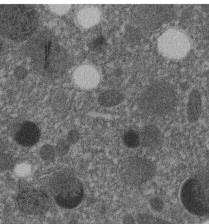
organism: C. elegans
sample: C. elegans embryo early stage